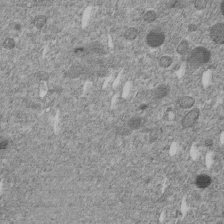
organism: C. elegans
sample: C. elegans embryo early stage